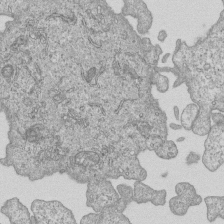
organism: Human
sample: MDA-MB-231 cells